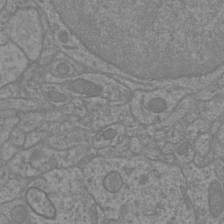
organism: Mouse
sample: Cortical neurons